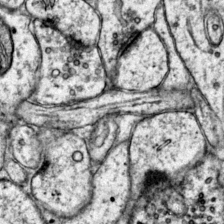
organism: Mouse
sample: Primary visual cortex